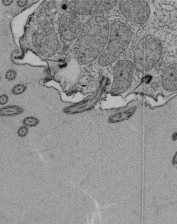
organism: Tetrahymena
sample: Cilia in tetrahymena